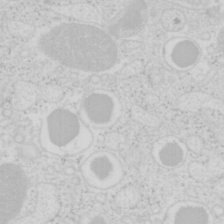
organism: Mouse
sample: Pancreas